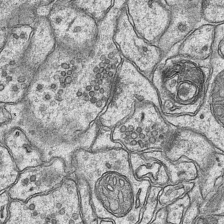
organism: Mouse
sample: CA1 Hippocampus